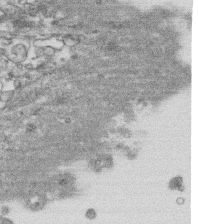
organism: Human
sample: CRL-1474